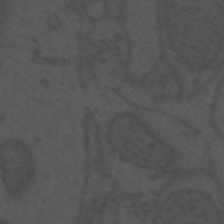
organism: Mouse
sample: Suprachiasmatic nucleus